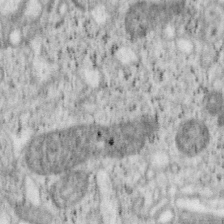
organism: Mouse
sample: OT-I killer T cells with ID8 ovarian cancer cells